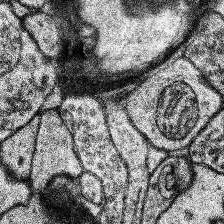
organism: Human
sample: Temporal Lobe